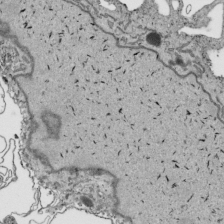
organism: Human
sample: Mitochondria in HCT116 cells